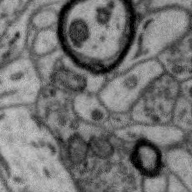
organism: Zebra finch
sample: Brain